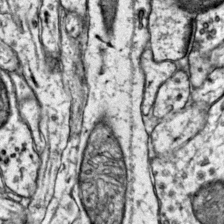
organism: Mouse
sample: Primary visual cortex